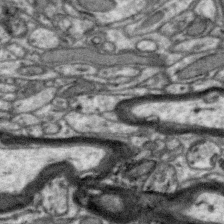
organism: Zebra finch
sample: Brain